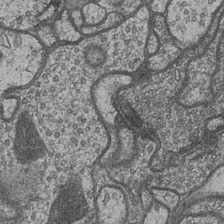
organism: Drosophila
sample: Optic medulla